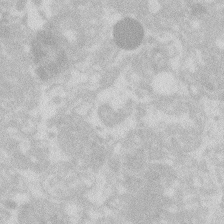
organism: Zebrafish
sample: Macrophage